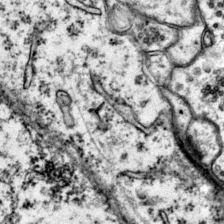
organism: Mouse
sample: Primary visual cortex